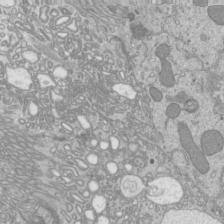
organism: Mouse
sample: Cilia; mouse epididymis